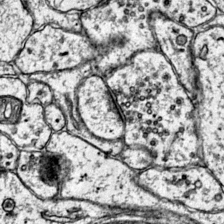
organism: Mouse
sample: Primary visual cortex